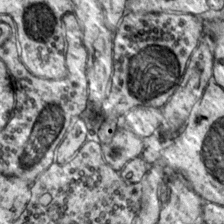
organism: Mouse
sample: Primary visual cortex